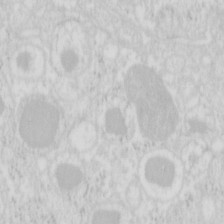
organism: Mouse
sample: Pancreas